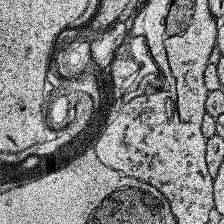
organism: Human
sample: Temporal Lobe